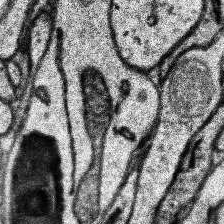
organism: Human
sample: Temporal Lobe